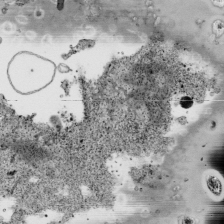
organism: Human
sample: Mitochondria in HCT116 cells